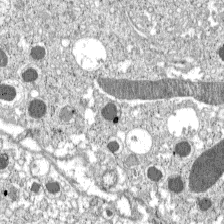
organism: C57BL Mouse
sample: Pancreatic islet